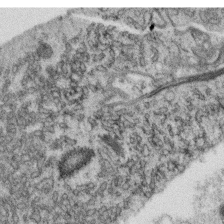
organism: C. elegans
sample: C. elegans oocyte; sperm cells